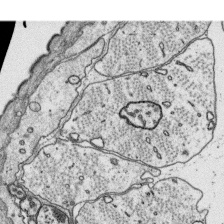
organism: Platynereis dumerilii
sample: Parapodia